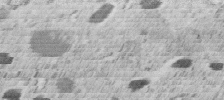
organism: C. elegans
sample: C. elegans embryo early stage